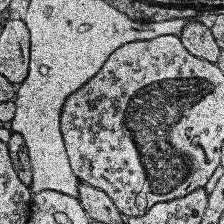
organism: Human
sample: Temporal Lobe